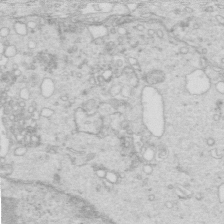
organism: Mouse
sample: Multiciliated cells